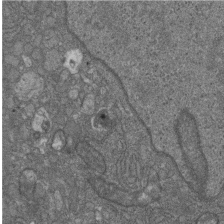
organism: Drosophila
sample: Nephrocyte